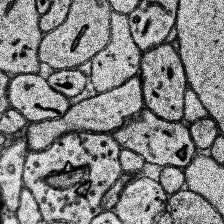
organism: Human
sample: Temporal Lobe